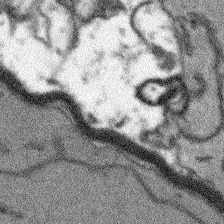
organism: Arabidopsis thaliana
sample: Root tip